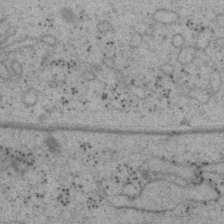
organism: Human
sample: HeLa cells